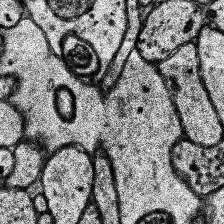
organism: Human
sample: Temporal Lobe